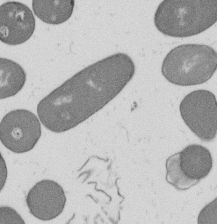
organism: B. subtilis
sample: Bacterial spore